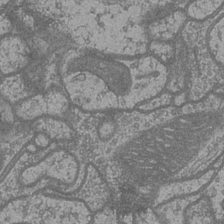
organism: Drosophila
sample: Optic medulla